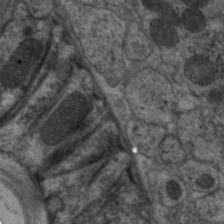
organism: C. elegans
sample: Pharynx